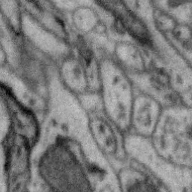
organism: Zebra finch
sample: Brain